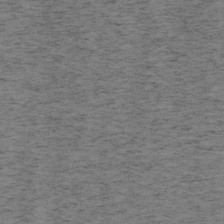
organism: Mouse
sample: OT-I killer T cells with ID8 ovarian cancer cells